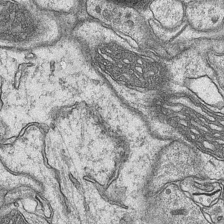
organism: Mouse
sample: CA1 Hippocampus